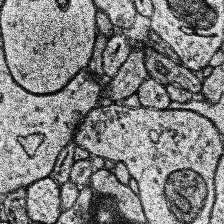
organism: Human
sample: Temporal Lobe